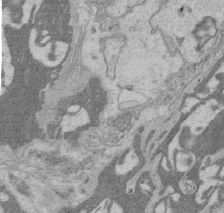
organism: Rat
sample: Salivary granule